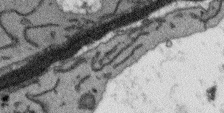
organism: Arabidopsis thaliana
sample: Root tip